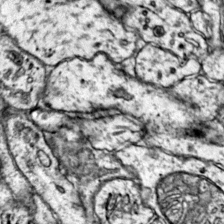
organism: Mouse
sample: Primary visual cortex